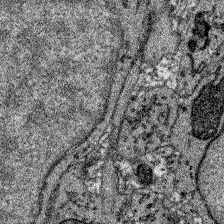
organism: Zebrafish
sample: Larval olfactory bulb